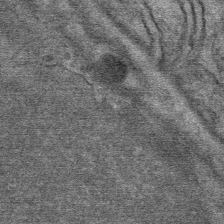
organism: Mouse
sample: Mouse Salivary gland